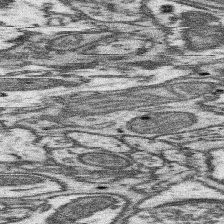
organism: Mouse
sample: Somatosensory cortex neuropil